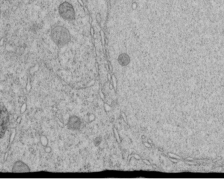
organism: C. elegans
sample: C. elegans embryo early stage